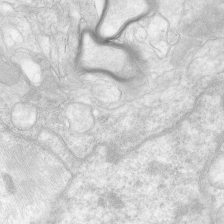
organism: Human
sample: Neocortex